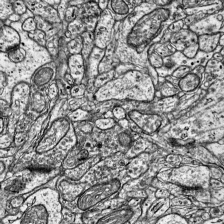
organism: Mouse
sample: Visual Cortex